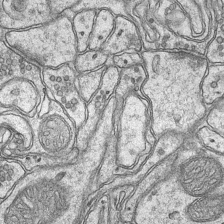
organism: Mouse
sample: CA1 Hippocampus